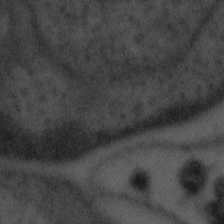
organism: Tuwongella immobilis